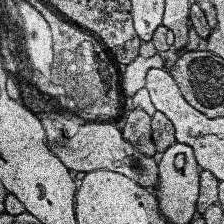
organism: Human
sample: Temporal Lobe